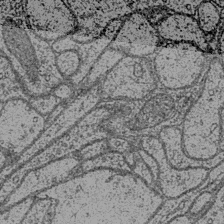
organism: Drosophila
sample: Optic medulla